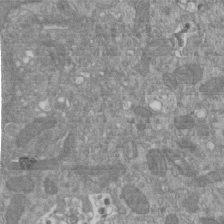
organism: Mouse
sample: ED-1 cell nuclei; centrioles